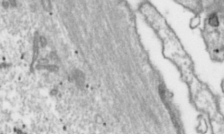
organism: Toxoplasma gondii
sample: Parasites in a vacuole inside a host cell